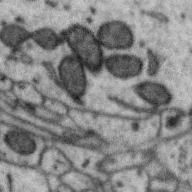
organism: Zebra finch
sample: Brain